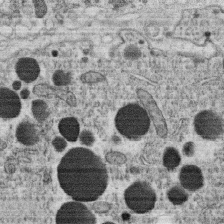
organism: C. elegans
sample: C. elegans oocyte; sperm cells